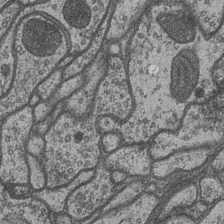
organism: Drosophila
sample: Optic medulla